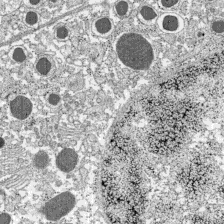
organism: C57BL Mouse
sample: Pancreatic islet